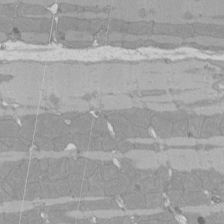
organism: Rat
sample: Left ventricle